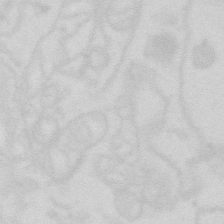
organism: Human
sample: HeLa cells